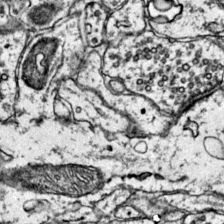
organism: Mouse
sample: Primary visual cortex